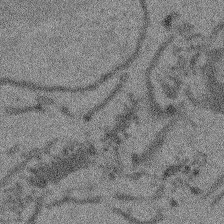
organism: Arabidopsis thaliana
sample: Root tip